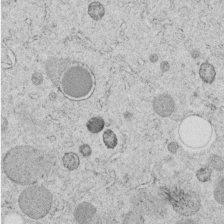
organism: C. elegans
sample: C. elegans embryo early stage